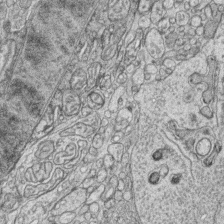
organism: Zebrafish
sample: synaptic ribbons in rod cells and cone cells